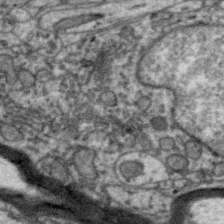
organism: Zebra finch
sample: Brain